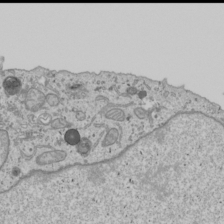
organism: Human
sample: Mitochondria in U2OS cells